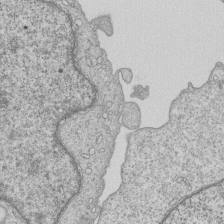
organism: Human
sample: MDA-MB-231 cells